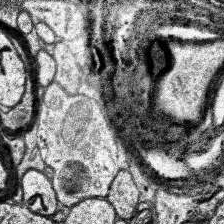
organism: Human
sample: Temporal Lobe